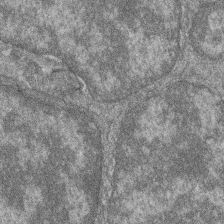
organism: Zebrafish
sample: Cilia; retinal pigment epithelium